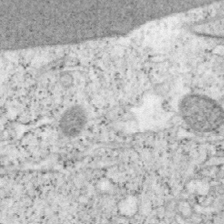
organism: Mouse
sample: OT-I killer T cells with ID8 ovarian cancer cells